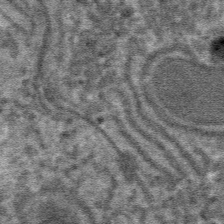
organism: Mouse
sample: Mouse hepatocytes